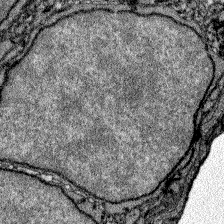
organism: Zebrafish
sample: Larval olfactory bulb